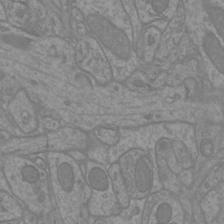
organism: Mouse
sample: Cortical neurons